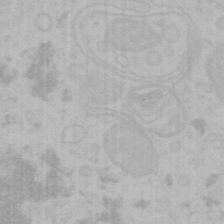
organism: Mouse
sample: Choroid plexus